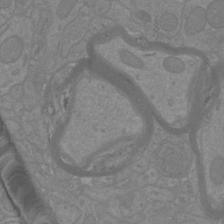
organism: Mouse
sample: Cortical neurons